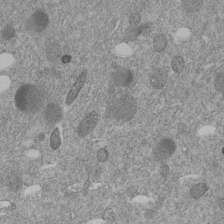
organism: C. elegans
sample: C. elegans embryo early stage